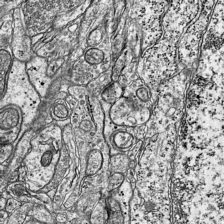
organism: Mouse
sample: Visual Cortex